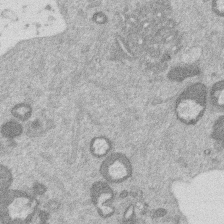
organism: Mouse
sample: Dividing mouse embryo 1 cell stage